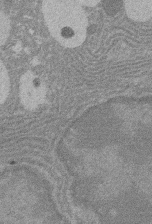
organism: Rat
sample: Salivary granule